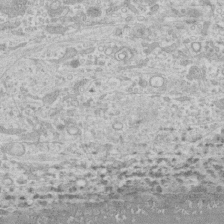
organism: Human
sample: CRL-1474